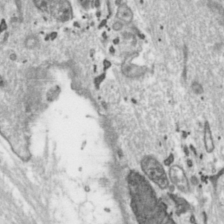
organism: Toxoplasma gondii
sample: Parasites in a vacuole inside a host cell